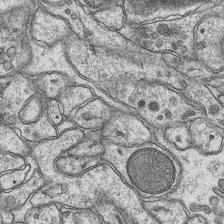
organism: Mouse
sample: CA1 Hippocampus